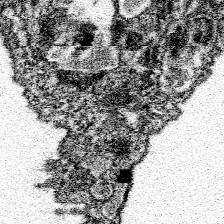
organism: Spongilla lacustris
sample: Neuroid cell